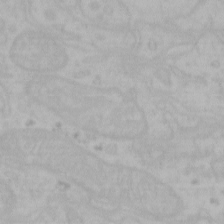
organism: Mouse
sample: Choroid plexus